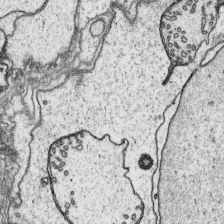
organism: Platynereis dumerilii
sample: Parapodia